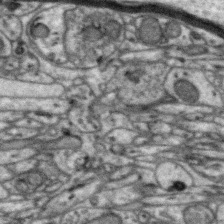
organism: Zebra finch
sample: Brain